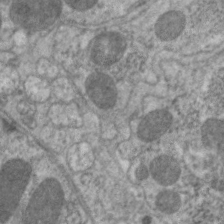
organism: C. elegans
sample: Pharynx